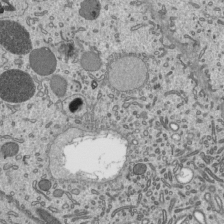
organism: Mouse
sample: Mouse epididymis efferent ductule cilia